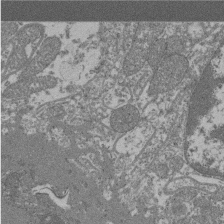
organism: Mouse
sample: Glomerulus